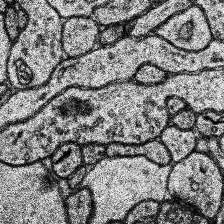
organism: Human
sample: Temporal Lobe